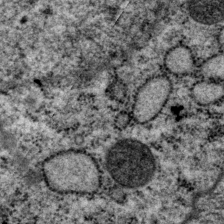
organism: P. pacificus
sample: Pharynx